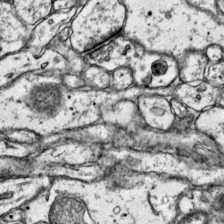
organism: Mouse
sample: Primary visual cortex